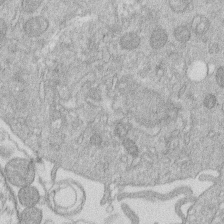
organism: Human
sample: Macrophage cells